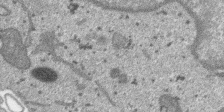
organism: Human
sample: Lung epithelial cells infected with SARS-CoV-2